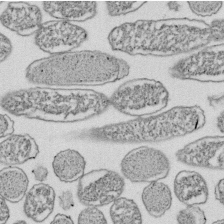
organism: E. coli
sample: Bacterial nucleoid